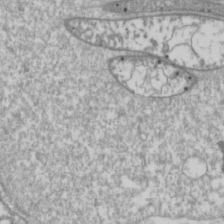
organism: Drosophila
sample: Cell division; meiosis; drosophila spermatocytes